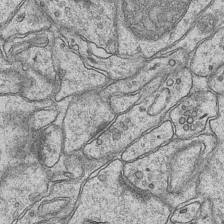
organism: Mouse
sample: CA1 Hippocampus